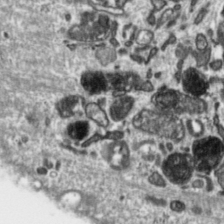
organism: Toxoplasma gondii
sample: Parasites in a vacuole inside a host cell